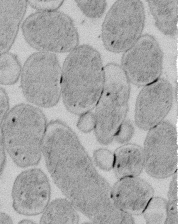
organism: E. coli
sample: Bacterial nucleoid